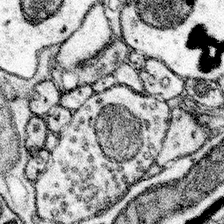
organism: Mouse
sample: Somatosensory cortex neuropil